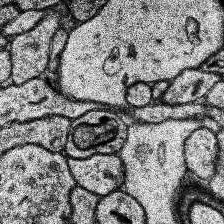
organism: Human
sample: Temporal Lobe